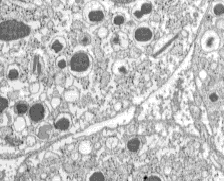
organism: C57BL Mouse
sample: Pancreatic islet